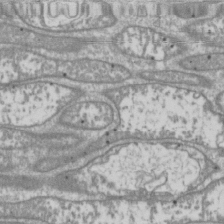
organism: Drosophila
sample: Cell division; meiosis; drosophila spermatocytes